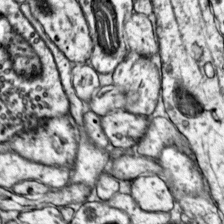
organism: Mouse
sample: Primary visual cortex